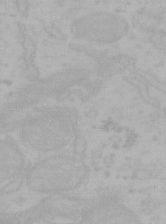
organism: Mouse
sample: Choroid plexus